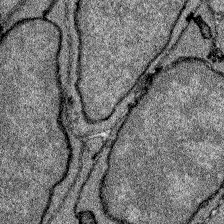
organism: Zebrafish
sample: Larval olfactory bulb